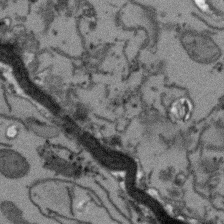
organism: Arabidopsis thaliana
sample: Root tip